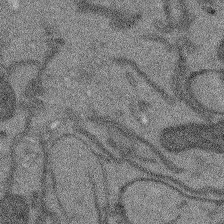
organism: Arabidopsis thaliana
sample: Root tip